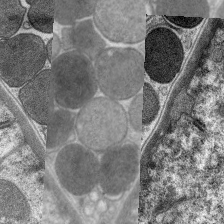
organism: C. elegans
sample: Pharynx